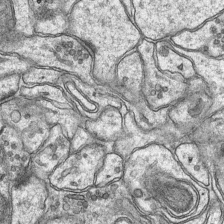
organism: Mouse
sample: CA1 Hippocampus